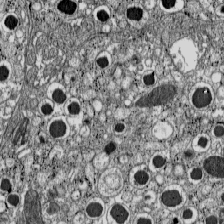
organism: C57BL Mouse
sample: Pancreatic islet